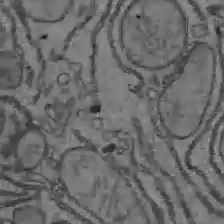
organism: C57BL Mouse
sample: Liver